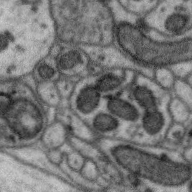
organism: Zebra finch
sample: Brain